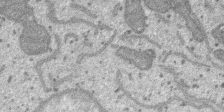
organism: Human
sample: Lung epithelial cells infected with SARS-CoV-2